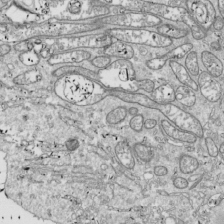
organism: Drosophila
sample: Cell division; meiosis; drosophila spermatocytes